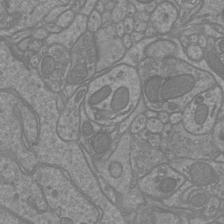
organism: Mouse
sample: Cortical neurons